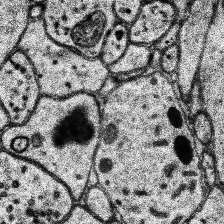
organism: Human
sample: Temporal Lobe